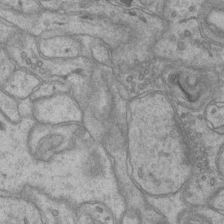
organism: Mouse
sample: CA1 Hippocampus